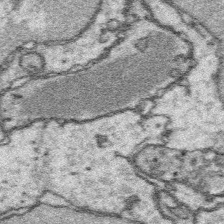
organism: Platynereis dumerilii